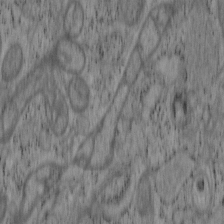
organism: Human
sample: HeLa cells